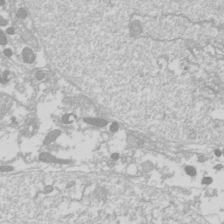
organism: Drosophila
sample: Cell division; meiosis; drosophila spermatocytes